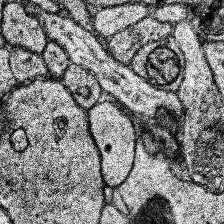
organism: Human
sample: Temporal Lobe